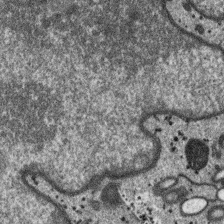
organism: Human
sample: Lung epithelial cells infected with SARS-CoV-2